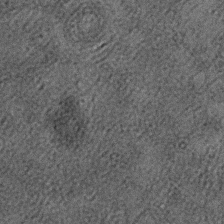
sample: Trachea